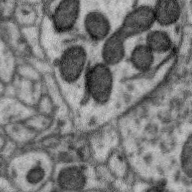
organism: Zebra finch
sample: Brain